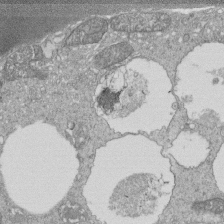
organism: Tetrahymena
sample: Cilia in tetrahymena